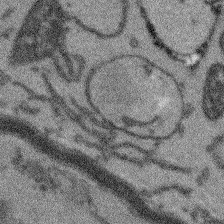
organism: Arabidopsis thaliana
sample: Root tip